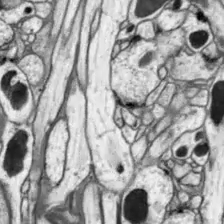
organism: Drosophila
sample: Optic lobe